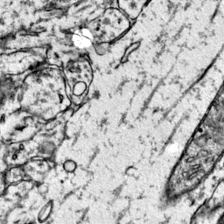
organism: Mouse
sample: Primary visual cortex